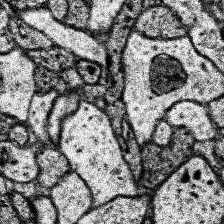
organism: Human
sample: Temporal Lobe